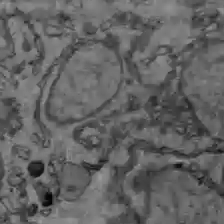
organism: C57BL Mouse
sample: Liver